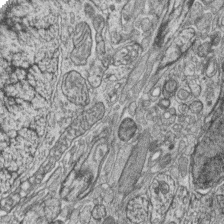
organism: Zebrafish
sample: synaptic ribbons in rod cells and cone cells